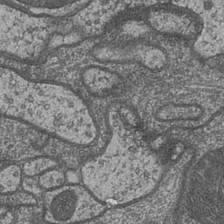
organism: Drosophila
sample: Optic medulla